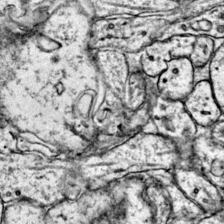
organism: Mouse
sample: Primary visual cortex